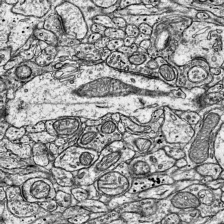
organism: Mouse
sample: Visual Cortex